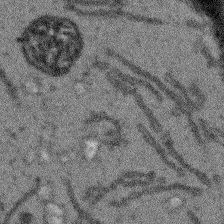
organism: Arabidopsis thaliana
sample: Root tip